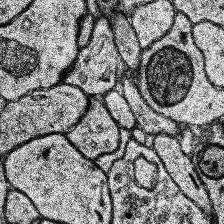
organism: Human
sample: Temporal Lobe